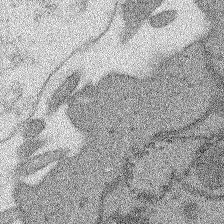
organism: Human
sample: HeLa cells